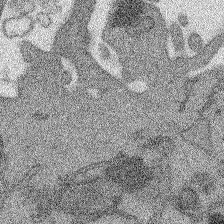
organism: Human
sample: HeLa cells